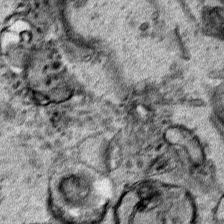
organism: Human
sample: Mitochondria in HCT116 cells